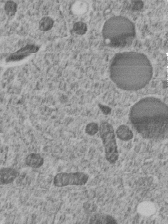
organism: C. elegans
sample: C. elegans embryo early stage